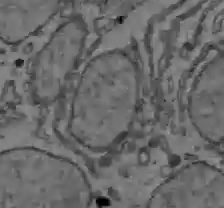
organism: C57BL Mouse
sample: Liver